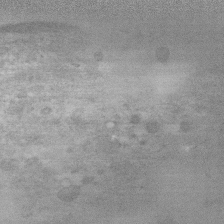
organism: Human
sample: Fibroblast cells